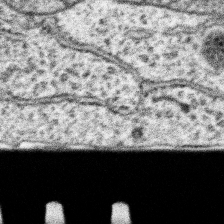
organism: Human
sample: HeLa cells